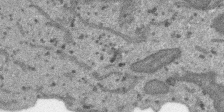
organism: Human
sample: Lung epithelial cells infected with SARS-CoV-2